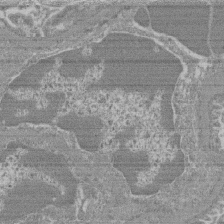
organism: Mouse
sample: Glomerulus